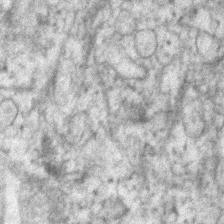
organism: Human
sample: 1205lu cells